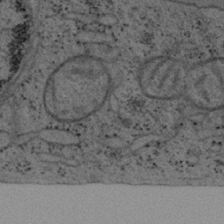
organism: Human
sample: HeLa cells